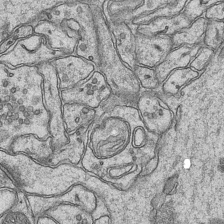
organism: Mouse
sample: CA1 Hippocampus